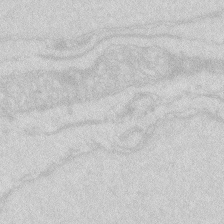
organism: Zebrafish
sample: Macrophage